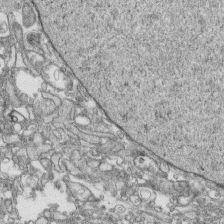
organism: Human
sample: CRL-1474